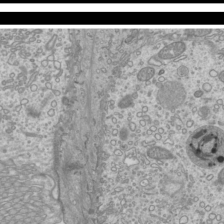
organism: Mouse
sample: Cilia; mouse epididymis